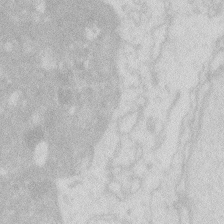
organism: Zebrafish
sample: Macrophage